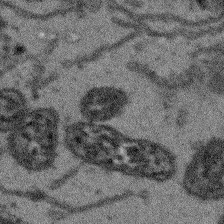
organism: Arabidopsis thaliana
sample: Root tip